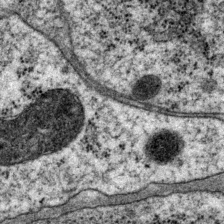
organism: P. pacificus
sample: Pharynx